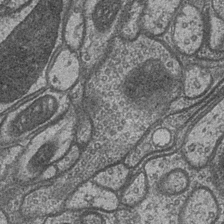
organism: Drosophila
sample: Optic medulla